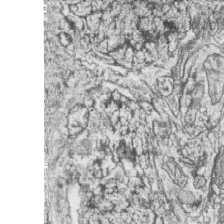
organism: Zebrafish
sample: synaptic ribbons in rod cells and cone cells